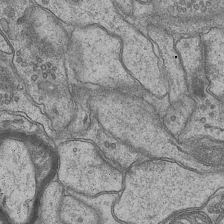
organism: Mouse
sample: CA1 Hippocampus